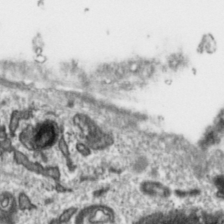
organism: Toxoplasma gondii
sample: Parasites in a vacuole inside a host cell